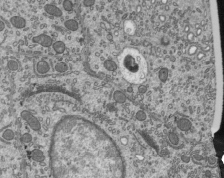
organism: Mouse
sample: Mouse epididymis efferent ductule cilia